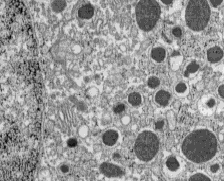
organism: C57BL Mouse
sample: Pancreatic islet